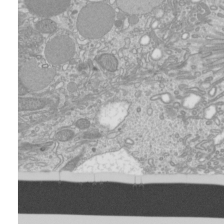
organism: Mouse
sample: Cilia; mouse epididymis